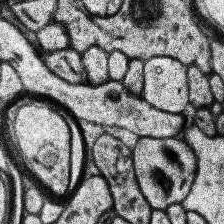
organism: Human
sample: Temporal Lobe